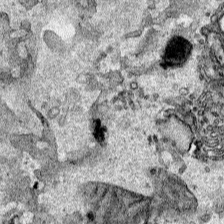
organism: Human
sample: Mitochondria in HCT116 cells